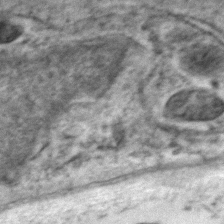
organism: Zebrafish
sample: Zebrafish embryo